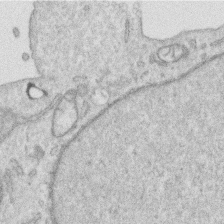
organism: Human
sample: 1205lu cells